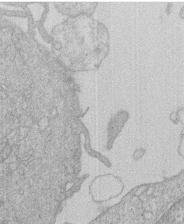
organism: Human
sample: Macrophage cells